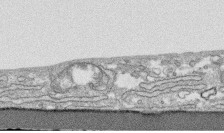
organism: Human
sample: CRL-1474